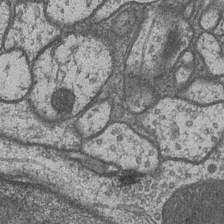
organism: Drosophila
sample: Optic medulla